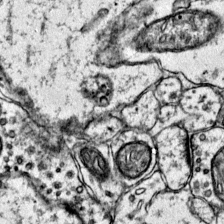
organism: Mouse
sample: Primary visual cortex